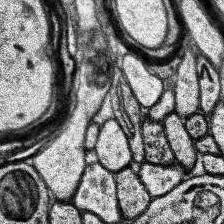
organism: Human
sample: Temporal Lobe